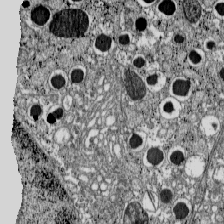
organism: C57BL Mouse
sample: Pancreatic islet